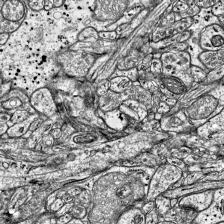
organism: Mouse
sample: Visual Cortex